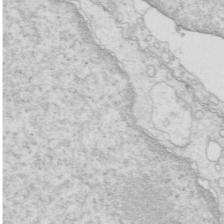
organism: Mouse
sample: Multiciliated cells